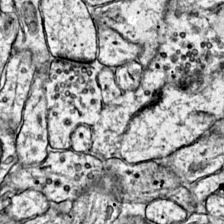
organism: Mouse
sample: Primary visual cortex